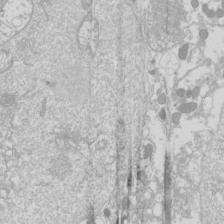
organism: Drosophila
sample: Cell division; meiosis; drosophila spermatocytes